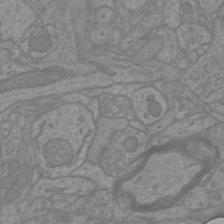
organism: Mouse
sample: Cortical neurons